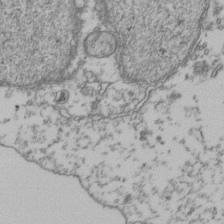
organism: Human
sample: Activated Jurkat CD4+ T cells